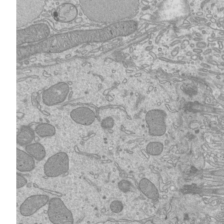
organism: Mouse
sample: Cilia; mouse epididymis